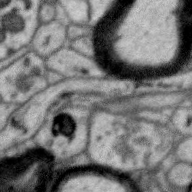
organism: Zebra finch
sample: Brain